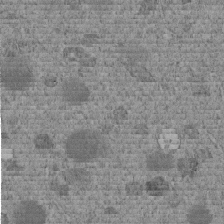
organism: C. elegans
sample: C. elegans embryo early stage